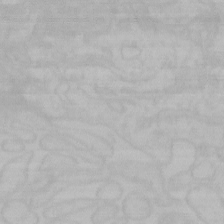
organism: Mouse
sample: Choroid plexus